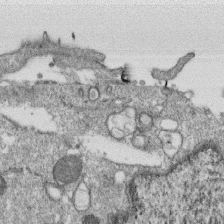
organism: African green monkey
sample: Vero E6 cells infected with SARS-CoV-2